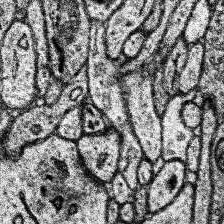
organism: Human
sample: Temporal Lobe